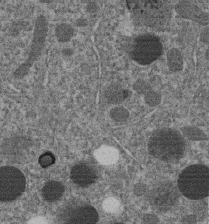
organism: C. elegans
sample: C. elegans embryo early stage